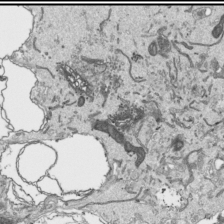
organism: Human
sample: Mitochondria in HCT116 cells